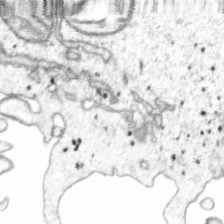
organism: Human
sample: HeLa cells